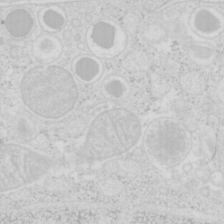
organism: Mouse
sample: Pancreas